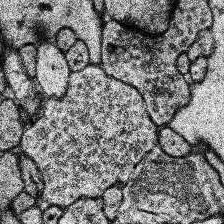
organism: Human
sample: Temporal Lobe